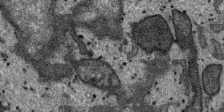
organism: Human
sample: Lung epithelial cells, uninfected (mock) control